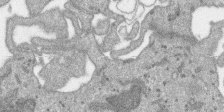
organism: Human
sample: Lung epithelial cells infected with SARS-CoV-2